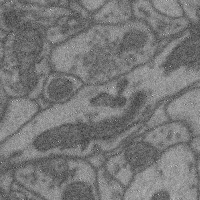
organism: Mouse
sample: Cerebral cortex